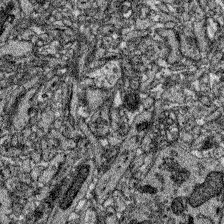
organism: Zebrafish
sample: Larval olfactory bulb